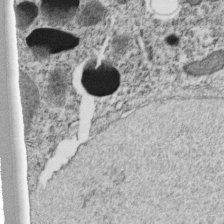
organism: C. elegans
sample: C. elegans embryo early stage